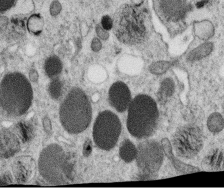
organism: C. elegans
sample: C. elegans oocyte; sperm cells